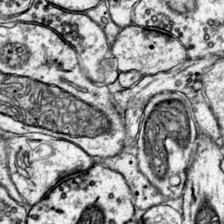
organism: Mouse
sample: Primary visual cortex